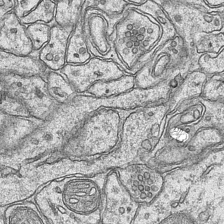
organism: Mouse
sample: CA1 Hippocampus